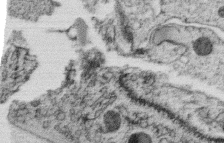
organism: C. elegans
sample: C. elegans oocyte; sperm cells